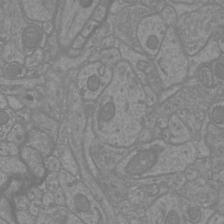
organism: Mouse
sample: Cortical neurons